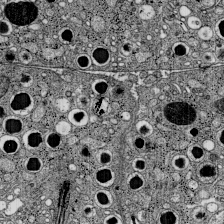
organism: C57BL Mouse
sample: Pancreatic islet